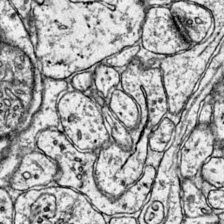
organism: Mouse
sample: Primary visual cortex